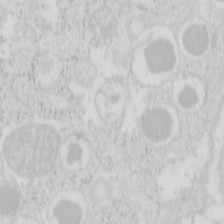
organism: Mouse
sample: Pancreas